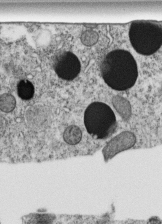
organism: C. elegans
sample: C. elegans embryo early stage